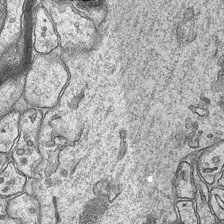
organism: Mouse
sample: CA1 Hippocampus